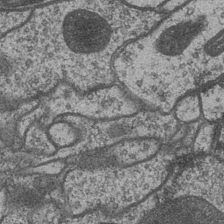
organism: Drosophila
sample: Optic medulla